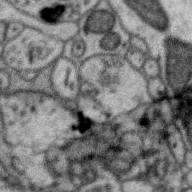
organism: Zebra finch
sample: Brain